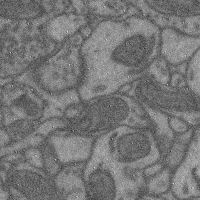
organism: Mouse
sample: Cerebral cortex